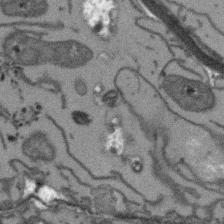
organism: Arabidopsis thaliana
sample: Root tip